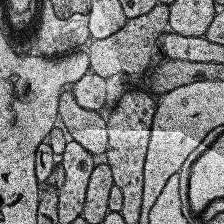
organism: Human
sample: Temporal Lobe